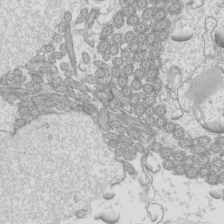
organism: Mouse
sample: Cilia; mouse epididymis